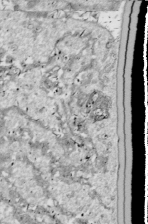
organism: Drosophila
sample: Cell division; meiosis; drosophila spermatocytes